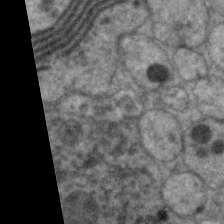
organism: C. elegans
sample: Pharynx